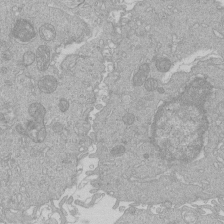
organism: Human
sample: Macrophage cells